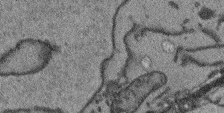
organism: Arabidopsis thaliana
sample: Root tip